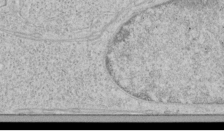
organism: Human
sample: Mitochondria in HCT116 cells